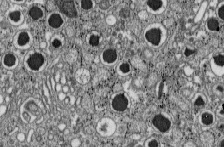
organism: C57BL Mouse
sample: Pancreatic islet